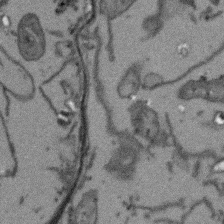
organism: Arabidopsis thaliana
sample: Root tip